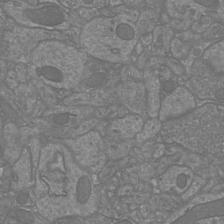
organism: Mouse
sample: Cortical neurons